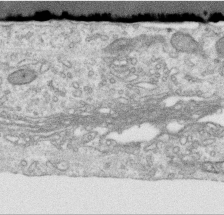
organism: Human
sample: Centriole in RPE cells